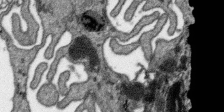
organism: Human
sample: Lung epithelial cells, uninfected (mock) control